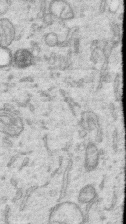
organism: Human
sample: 1205lu cells